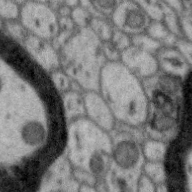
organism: Zebra finch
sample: Brain